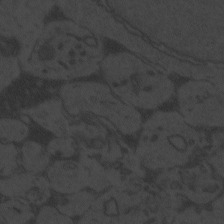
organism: Zebrafish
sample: Macrophage infected with Toxoplasma gondii